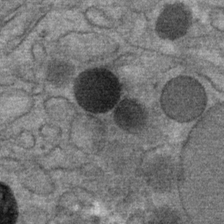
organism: Mouse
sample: Mouse Salivary gland